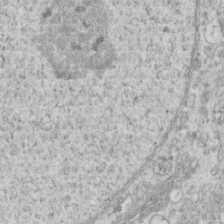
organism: Mouse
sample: Centriole in ependymal cells